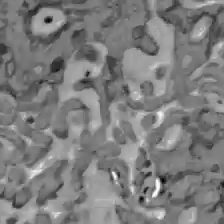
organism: C57BL Mouse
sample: Liver